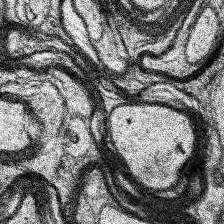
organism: Human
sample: Temporal Lobe